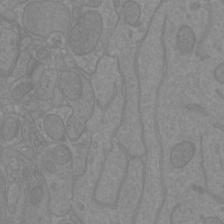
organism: Mouse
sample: Cortical neurons